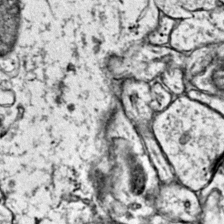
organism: Mouse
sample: Primary visual cortex